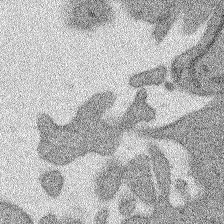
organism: Human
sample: HeLa cells